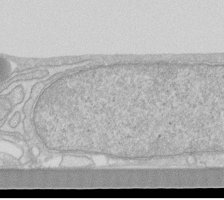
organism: Human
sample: Fibroblast cells